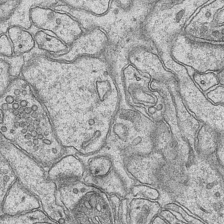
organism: Mouse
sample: CA1 Hippocampus